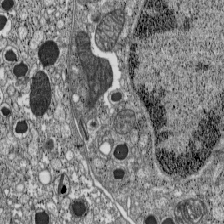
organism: C57BL Mouse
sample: Pancreatic islet